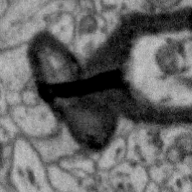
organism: Zebra finch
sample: Brain